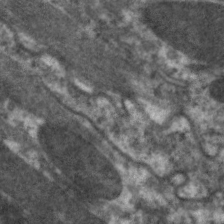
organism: C. elegans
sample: Pharynx